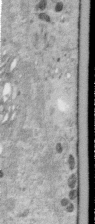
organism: Human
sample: Centriole in RPE cells